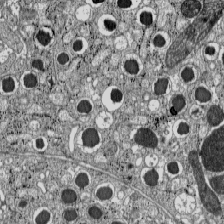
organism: C57BL Mouse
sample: Pancreatic islet